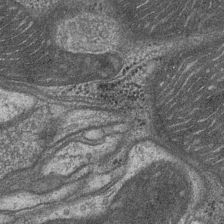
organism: Drosophila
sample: Optic medulla